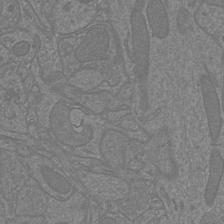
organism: Mouse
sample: Cortical neurons